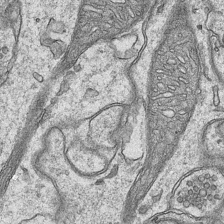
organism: Mouse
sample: CA1 Hippocampus